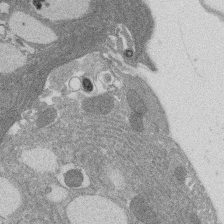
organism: Rat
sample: Salivary granule